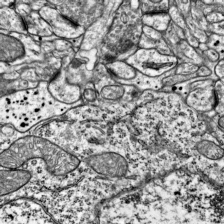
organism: Mouse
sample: Visual Cortex